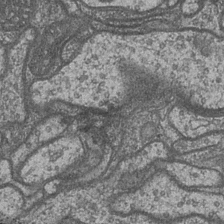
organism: Drosophila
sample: Optic medulla